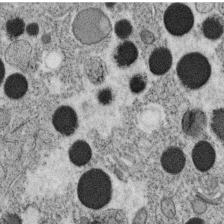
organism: C. elegans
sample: C. elegans oocyte; sperm cells